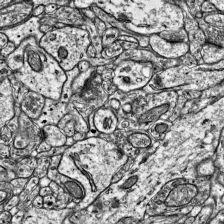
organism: Mouse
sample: Visual Cortex